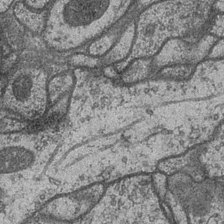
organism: Drosophila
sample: Optic medulla